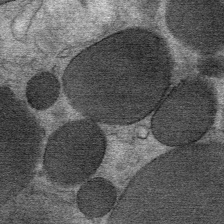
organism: Mouse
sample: Mouse Salivary gland